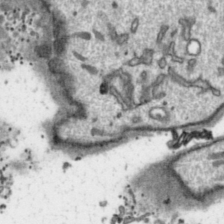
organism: Toxoplasma gondii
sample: Parasites in a vacuole inside a host cell